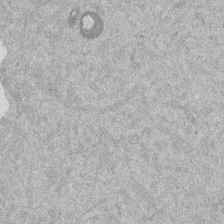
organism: Mouse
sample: Dividing mouse embryo 1 cell stage